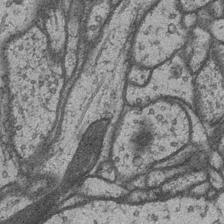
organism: Drosophila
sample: Optic medulla